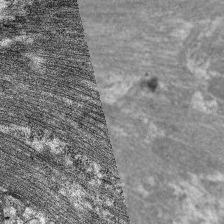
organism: C. elegans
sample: Pharynx